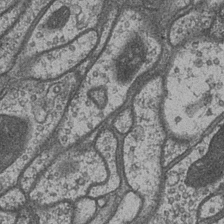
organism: Drosophila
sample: Optic medulla